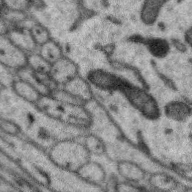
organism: Zebra finch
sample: Brain